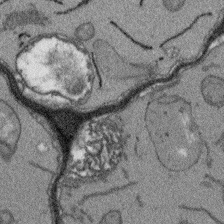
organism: Arabidopsis thaliana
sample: Root tip